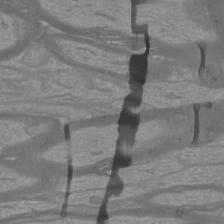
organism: Mouse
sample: Cortical neurons